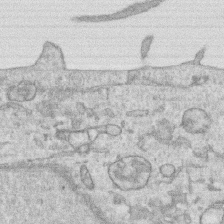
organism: Human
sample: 1205lu cells